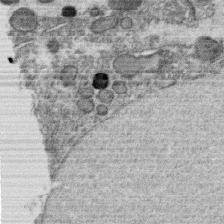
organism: C. elegans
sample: C. elegans oocyte; sperm cells